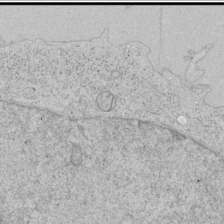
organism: Human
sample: Mitochondria in HCT116 cells